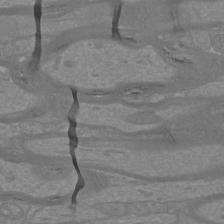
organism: Mouse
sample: Cortical neurons